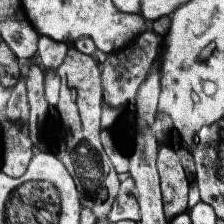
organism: Human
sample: Temporal Lobe